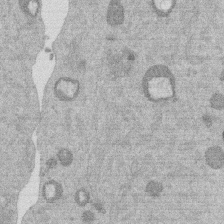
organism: Mouse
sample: Dividing mouse embryo 1 cell stage